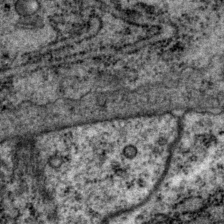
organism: P. pacificus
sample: Pharynx